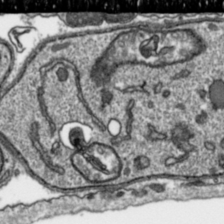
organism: Toxoplasma gondii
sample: Parasites in a vacuole inside a host cell